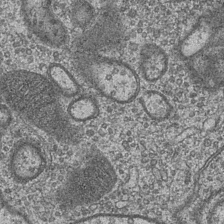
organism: Drosophila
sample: Optic medulla